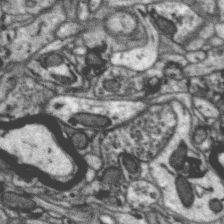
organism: Zebra finch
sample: Brain